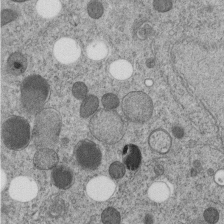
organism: C. elegans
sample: C. elegans embryo early stage